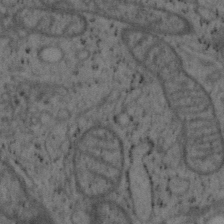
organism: Human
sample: HeLa cells